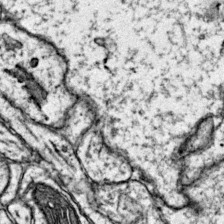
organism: Mouse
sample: Primary visual cortex